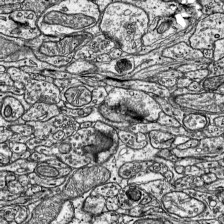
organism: Mouse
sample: Visual Cortex